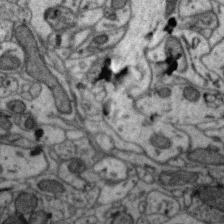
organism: Zebra finch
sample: Brain